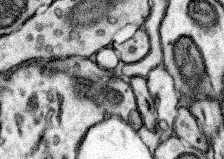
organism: Mouse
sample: Somatosensory cortex neuropil